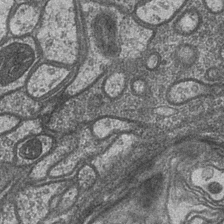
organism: Drosophila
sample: Optic medulla